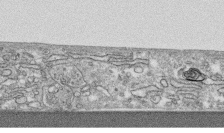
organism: Human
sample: CRL-1474